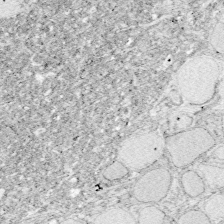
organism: Zebrafish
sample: Whole-Brain